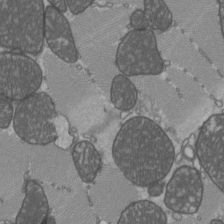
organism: C57BL Mouse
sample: Heart